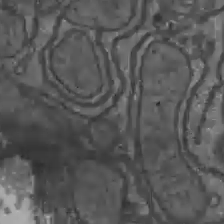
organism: C57BL Mouse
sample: Liver